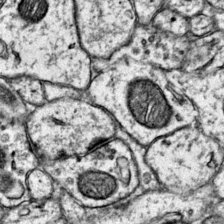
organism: Mouse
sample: Primary visual cortex